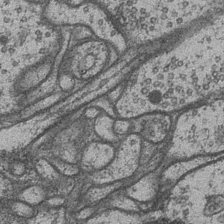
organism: Drosophila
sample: Optic medulla